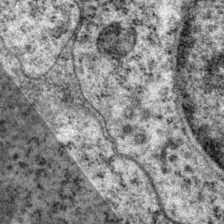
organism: P. pacificus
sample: Pharynx